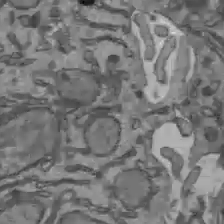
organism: C57BL Mouse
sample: Liver